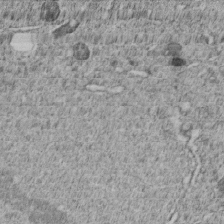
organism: C. elegans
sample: C. elegans embryo early stage